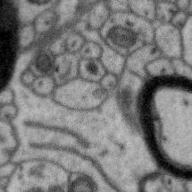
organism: Zebra finch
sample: Brain